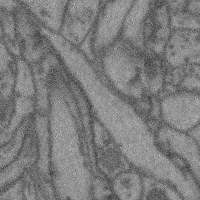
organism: Mouse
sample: Cerebral cortex